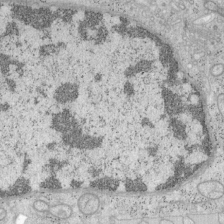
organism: Mouse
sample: OT-I killer T cells with ID8 ovarian cancer cells